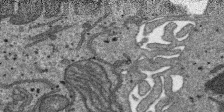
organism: Human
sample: Lung epithelial cells infected with SARS-CoV-2